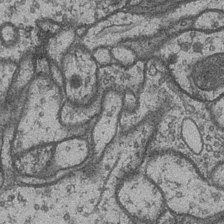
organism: Drosophila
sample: Optic medulla